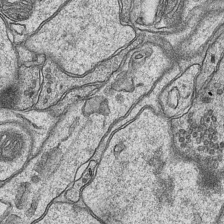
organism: Mouse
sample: CA1 Hippocampus